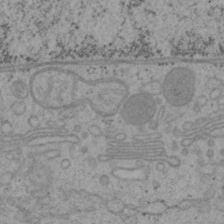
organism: Human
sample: HeLa cells